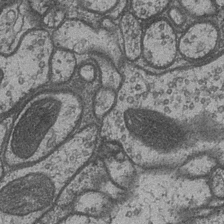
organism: Drosophila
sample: Optic medulla